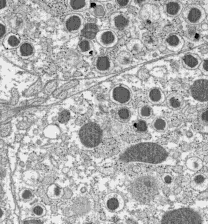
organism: C57BL Mouse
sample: Pancreatic islet